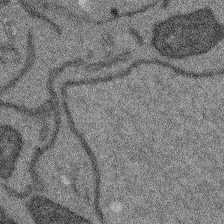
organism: Arabidopsis thaliana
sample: Root tip